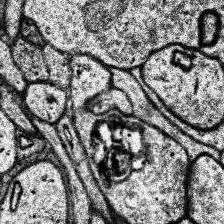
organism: Human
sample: Temporal Lobe